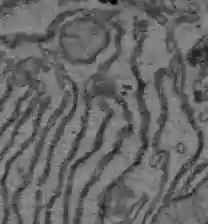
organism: C57BL Mouse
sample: Liver